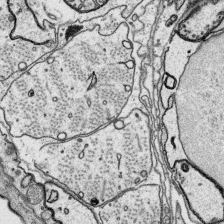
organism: Platynereis dumerilii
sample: Parapodia